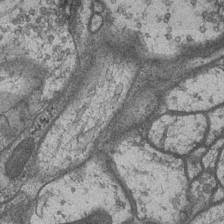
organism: Drosophila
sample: Optic medulla